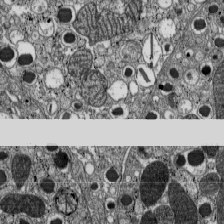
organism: C57BL Mouse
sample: Pancreatic islet